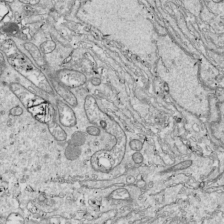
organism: Drosophila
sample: Cell division; meiosis; drosophila spermatocytes